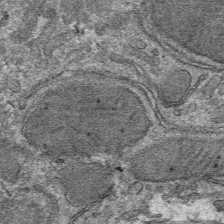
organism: Mouse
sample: Mouse hepatocytes